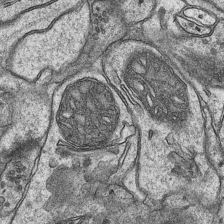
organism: Mouse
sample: CA1 Hippocampus